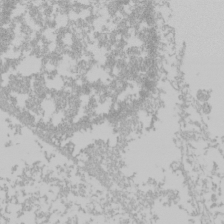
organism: Mouse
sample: Cancer cell death in ED-1 cells